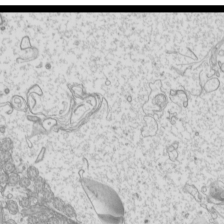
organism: Mouse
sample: Cilia; mouse epididymis